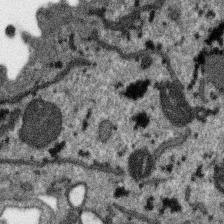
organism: Human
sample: Lung epithelial cells infected with SARS-CoV-2